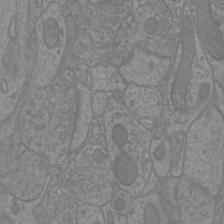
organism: Mouse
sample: Cortical neurons